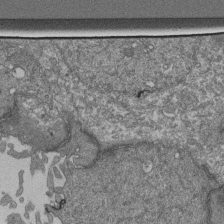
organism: Human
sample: Retinal organoid Rod and Cone cells